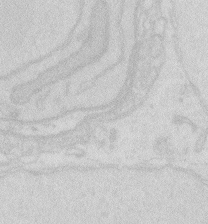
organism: Zebrafish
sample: Macrophage